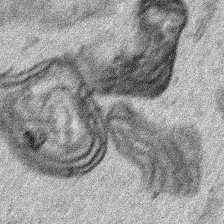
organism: Human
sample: Mitochondria in HCT116 cells